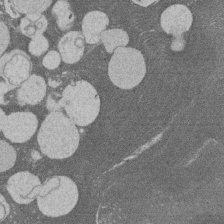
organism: Rat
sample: Salivary granule